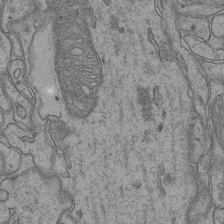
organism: Mouse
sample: CA1 Hippocampus